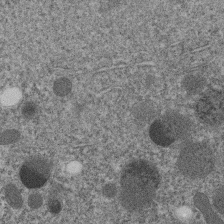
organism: C. elegans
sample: C. elegans embryo early stage